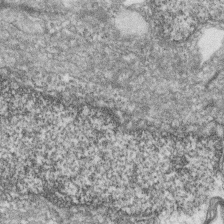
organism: Zebrafish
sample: Cilia; retinal pigment epithelium